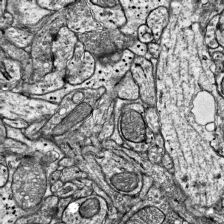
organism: Mouse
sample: Visual Cortex